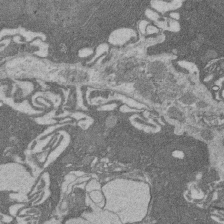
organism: Rat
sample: Salivary granule